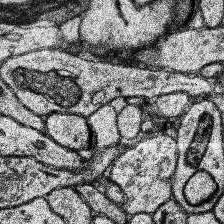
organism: Human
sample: Temporal Lobe